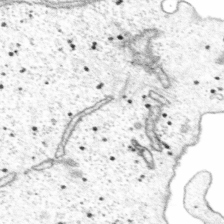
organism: Human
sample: HeLa cells